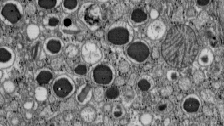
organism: C57BL Mouse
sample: Pancreatic islet